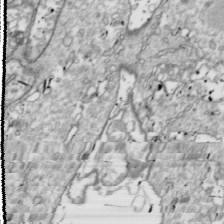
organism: Drosophila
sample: Cell division; meiosis; drosophila spermatocytes